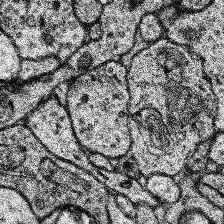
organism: Human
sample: Temporal Lobe